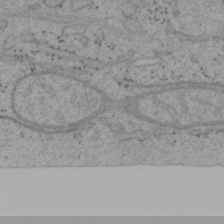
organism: Human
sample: HeLa cells